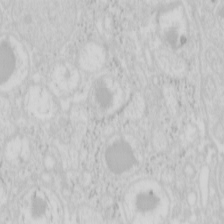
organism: Mouse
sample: Pancreas